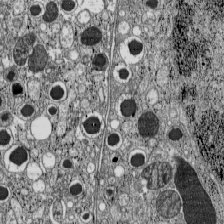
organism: C57BL Mouse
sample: Pancreatic islet